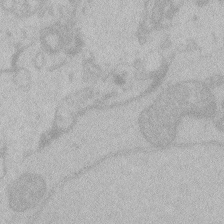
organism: Zebrafish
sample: Macrophage infected with Toxoplasma gondii